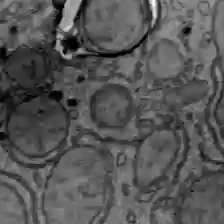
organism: C57BL Mouse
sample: Liver